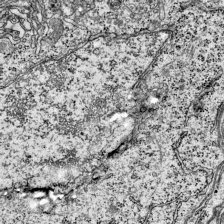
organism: Mouse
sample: Visual Cortex